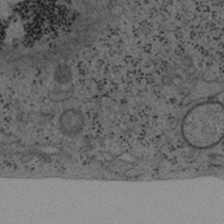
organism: Human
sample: HeLa cells